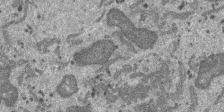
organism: Human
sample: Lung epithelial cells infected with SARS-CoV-2